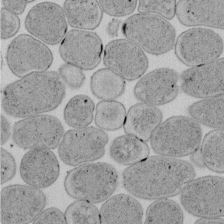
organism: E. coli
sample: Bacterial nucleoid